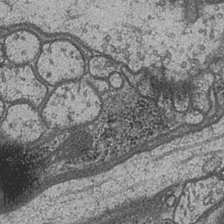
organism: Drosophila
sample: Optic medulla